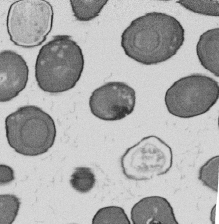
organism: B. subtilis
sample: Bacterial spore